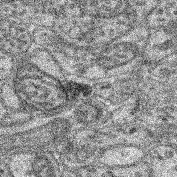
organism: Mouse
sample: Retina